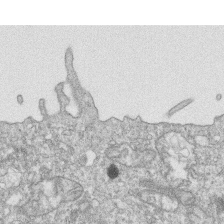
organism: Human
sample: HeLa cell HIV synapse